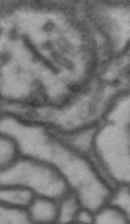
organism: Drosophila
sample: Brain